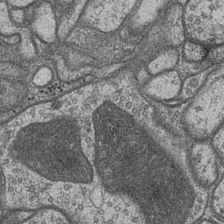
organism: Drosophila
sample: Optic medulla